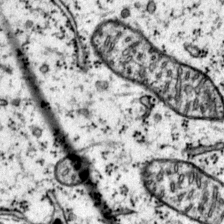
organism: Mouse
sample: Primary visual cortex